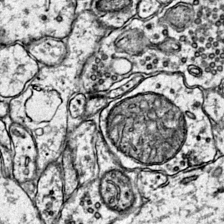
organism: Mouse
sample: Primary visual cortex